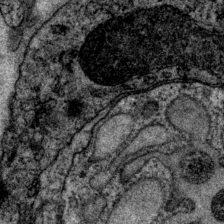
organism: P. pacificus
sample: Pharynx